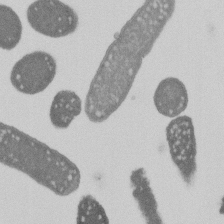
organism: E. coli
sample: Bacterial nucleoid